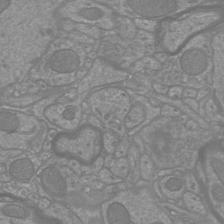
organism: Mouse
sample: Cortical neurons